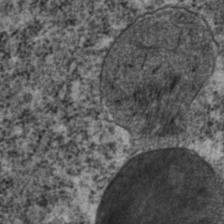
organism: C. elegans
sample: C. elegans embryo